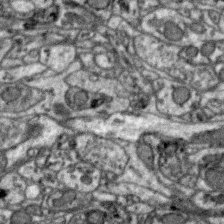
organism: Zebra finch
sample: Brain